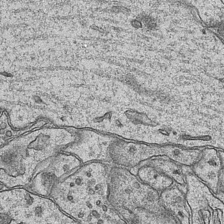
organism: Mouse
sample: CA1 Hippocampus